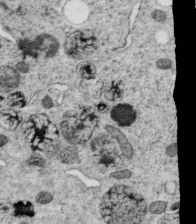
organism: C. elegans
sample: C. elegans oocyte; sperm cells